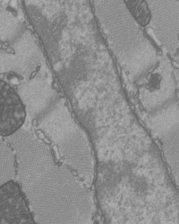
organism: C57BL Mouse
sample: Heart